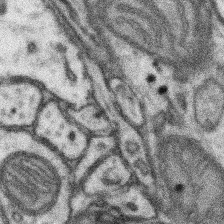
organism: Mouse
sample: Somatosensory cortex neuropil